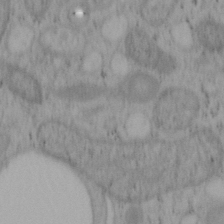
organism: Mouse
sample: OT-I killer T cells with ID8 ovarian cancer cells